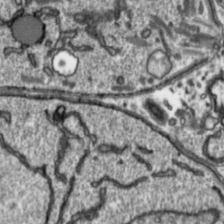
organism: Toxoplasma gondii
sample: Parasites in a vacuole inside a host cell